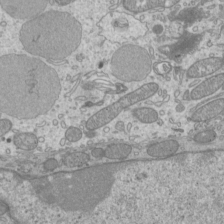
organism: Mouse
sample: Cilia; mouse epididymis